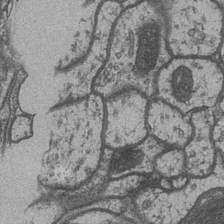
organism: Drosophila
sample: Optic medulla